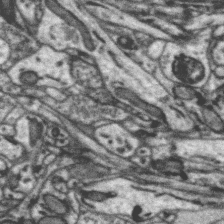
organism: Zebra finch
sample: Brain